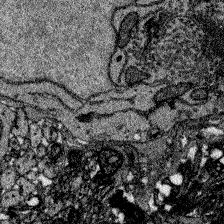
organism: Zebrafish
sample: Larval olfactory bulb